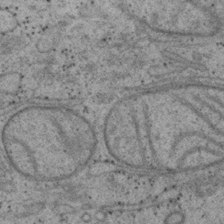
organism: Human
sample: HeLa cells